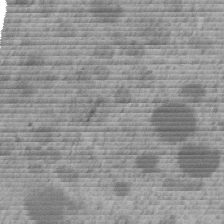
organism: C. elegans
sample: C. elegans embryo early stage